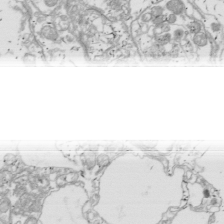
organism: Drosophila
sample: Cell division; meiosis; drosophila spermatocytes